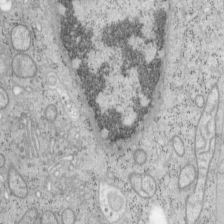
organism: Mouse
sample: OT-I killer T cells with ID8 ovarian cancer cells